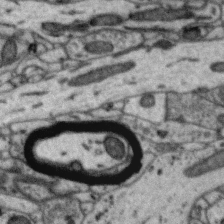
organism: Zebra finch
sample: Brain